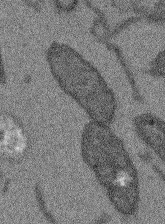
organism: Arabidopsis thaliana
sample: Root tip